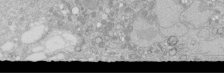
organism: Human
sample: Caco-2 cells